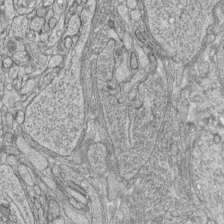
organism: Zebrafish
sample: synaptic ribbons in rod cells and cone cells